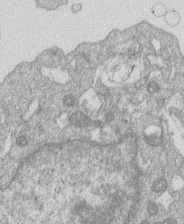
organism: Human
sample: Macrophage cells